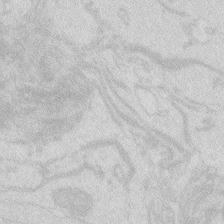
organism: Zebrafish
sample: Macrophage